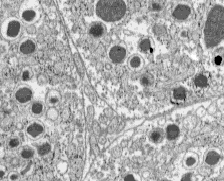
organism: C57BL Mouse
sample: Pancreatic islet